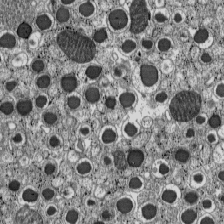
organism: C57BL Mouse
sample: Pancreatic islet